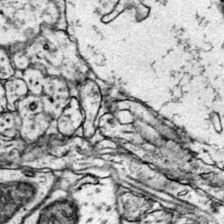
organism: Mouse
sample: Primary visual cortex